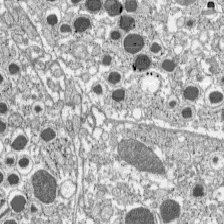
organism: C57BL Mouse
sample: Pancreatic islet